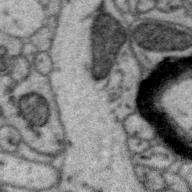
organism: Zebra finch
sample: Brain